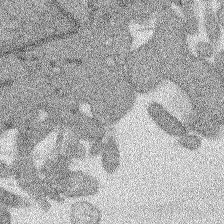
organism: Human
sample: HeLa cells